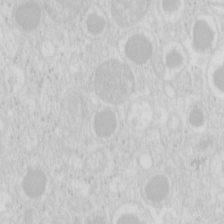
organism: Mouse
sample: Pancreas